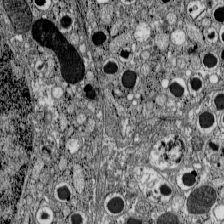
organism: C57BL Mouse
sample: Pancreatic islet